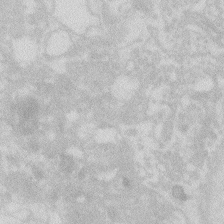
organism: Zebrafish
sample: Macrophage